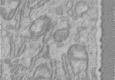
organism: Human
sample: Centriole in RPE cells